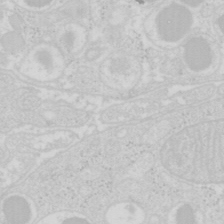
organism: Mouse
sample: Pancreas